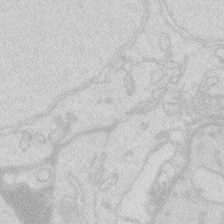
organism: Zebrafish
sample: Macrophage